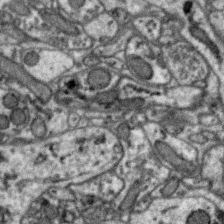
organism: Zebra finch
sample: Brain